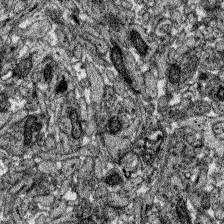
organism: Zebrafish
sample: Larval olfactory bulb